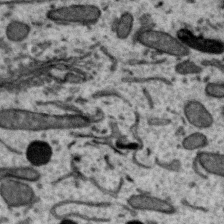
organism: Zebra finch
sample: Brain